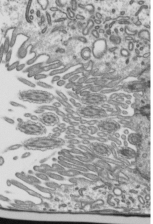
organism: Mouse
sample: Mouse epididymis efferent ductule cilia